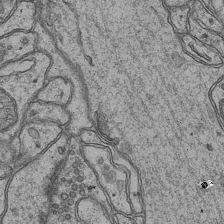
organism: Mouse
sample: CA1 Hippocampus